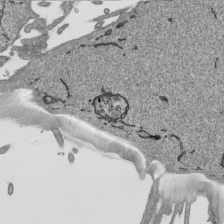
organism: Human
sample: Mitochondria in HCT116 cells